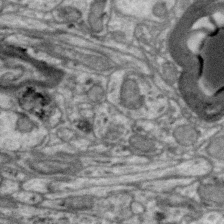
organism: Zebra finch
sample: Brain